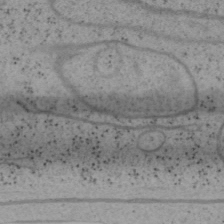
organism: Human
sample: HeLa cells